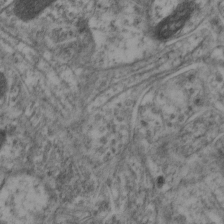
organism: Mouse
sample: Neocortex